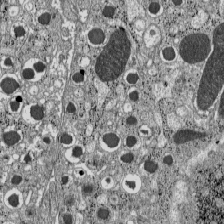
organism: C57BL Mouse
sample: Pancreatic islet